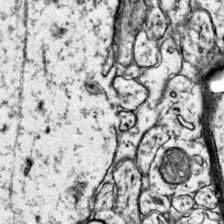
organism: Mouse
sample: Primary visual cortex